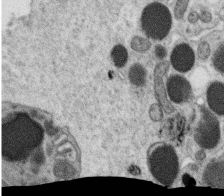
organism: C. elegans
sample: C. elegans oocyte; sperm cells